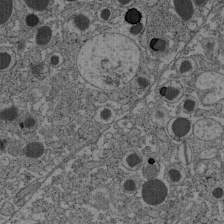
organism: C57BL Mouse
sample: Pancreatic islet